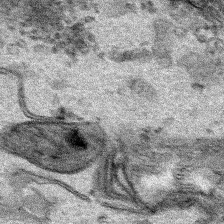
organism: Human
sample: Mitochondria in HCT116 cells